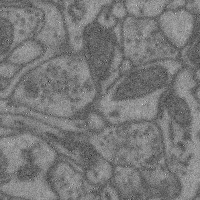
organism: Mouse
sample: Cerebral cortex